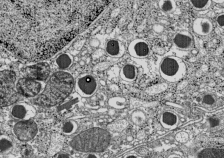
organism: C57BL Mouse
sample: Pancreatic islet